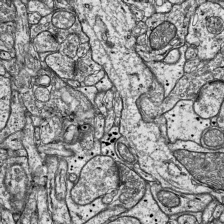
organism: Mouse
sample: Visual Cortex